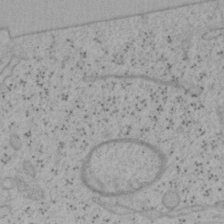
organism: Human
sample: HeLa cells